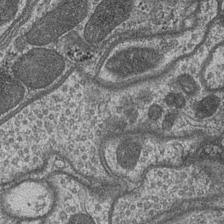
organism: Drosophila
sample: Optic medulla